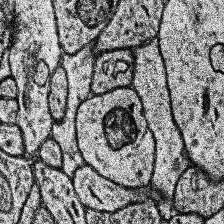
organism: Human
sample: Temporal Lobe